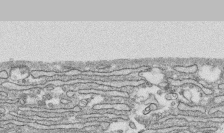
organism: Human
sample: CRL-1474